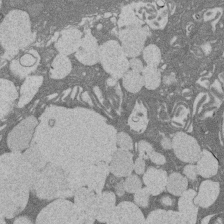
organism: Rat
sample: Salivary granule